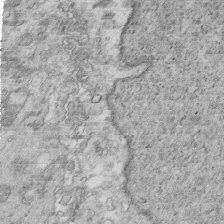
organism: Mouse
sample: Multiciliated cells